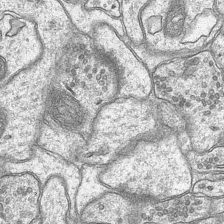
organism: Mouse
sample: CA1 Hippocampus